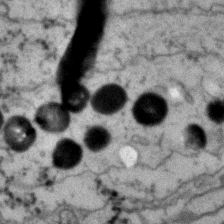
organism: Zebrafish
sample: Zebrafish embryo